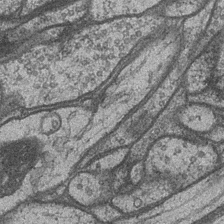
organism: Drosophila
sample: Optic medulla